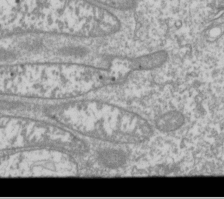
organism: Drosophila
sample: Cell division; meiosis; drosophila spermatocytes